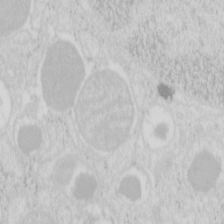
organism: Mouse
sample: Pancreas